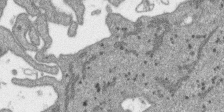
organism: Human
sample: Lung epithelial cells infected with SARS-CoV-2